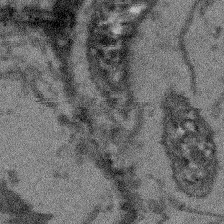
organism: Arabidopsis thaliana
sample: Root tip